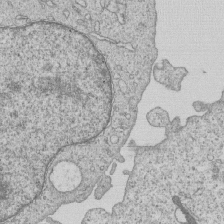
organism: Human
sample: MDA-MB-231 cells